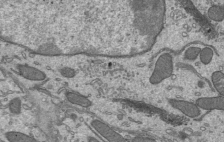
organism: Mouse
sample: Mouse epididymis efferent ductule cilia